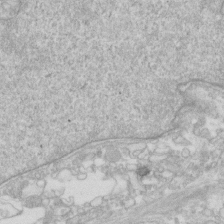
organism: Human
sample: Fibroblast cells